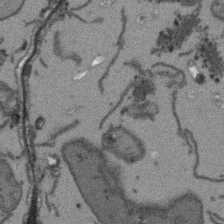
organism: Arabidopsis thaliana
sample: Root tip